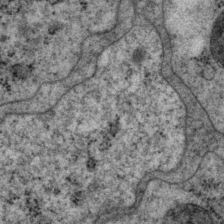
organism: P. pacificus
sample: Pharynx